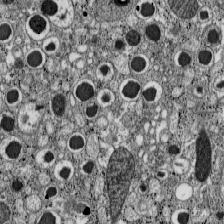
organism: C57BL Mouse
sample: Pancreatic islet